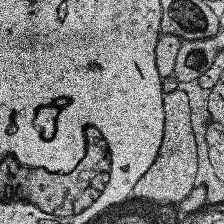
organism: Human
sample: Temporal Lobe